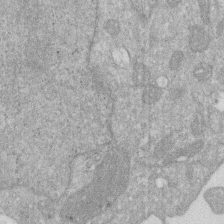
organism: Human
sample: HIV infected U937 cells